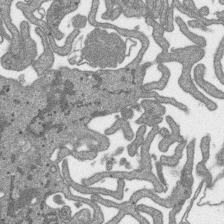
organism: Human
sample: Lung epithelial cells infected with SARS-CoV-2